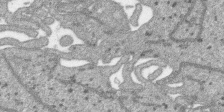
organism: Human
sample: Lung epithelial cells infected with SARS-CoV-2